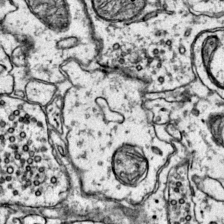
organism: Mouse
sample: Primary visual cortex